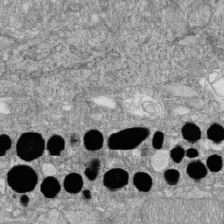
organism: Zebrafish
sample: Cilia; retinal pigment epithelium